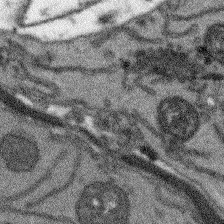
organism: Arabidopsis thaliana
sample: Root tip